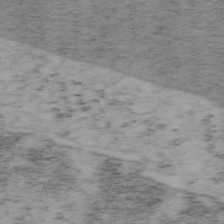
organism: Mouse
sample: OT-I killer T cells with ID8 ovarian cancer cells